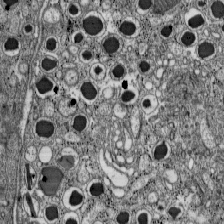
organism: C57BL Mouse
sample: Pancreatic islet